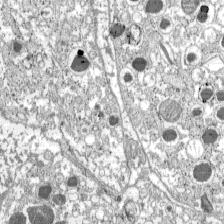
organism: C57BL Mouse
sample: Pancreatic islet